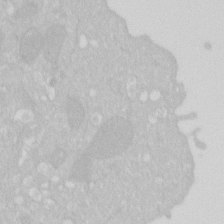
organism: Human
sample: HIV infected U937 cells